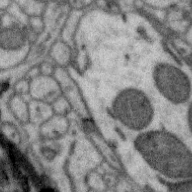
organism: Zebra finch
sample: Brain